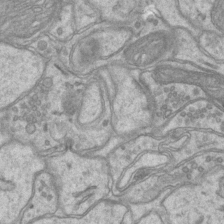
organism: Mouse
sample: CA1 Hippocampus